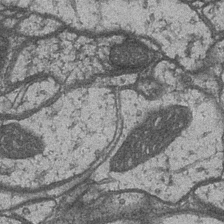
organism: Drosophila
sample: Optic medulla